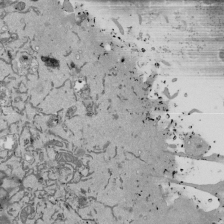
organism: Mouse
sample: ED-1 cell nuclei; centrioles